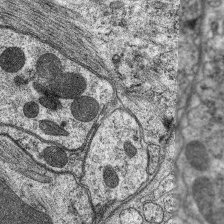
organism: C. elegans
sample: Pharynx